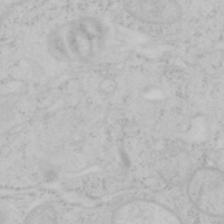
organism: Mouse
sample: OT-I killer T cells with ID8 ovarian cancer cells